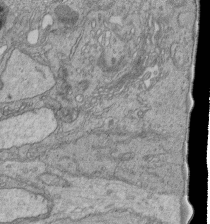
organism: Human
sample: Retinal organoid Rod and Cone cells